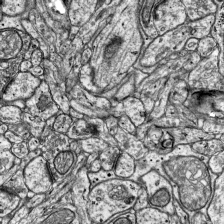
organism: Mouse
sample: Visual Cortex